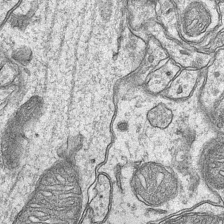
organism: Mouse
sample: CA1 Hippocampus